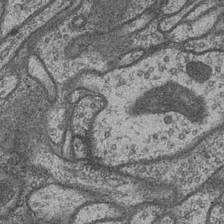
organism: Drosophila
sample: Optic medulla